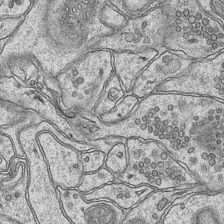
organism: Mouse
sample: CA1 Hippocampus